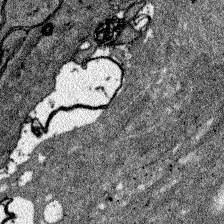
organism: Zebrafish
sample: Larval olfactory bulb